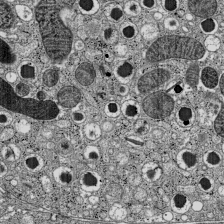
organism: C57BL Mouse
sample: Pancreatic islet